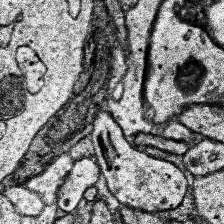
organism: Human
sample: Temporal Lobe